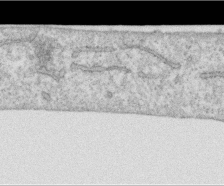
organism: Human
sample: Centriole in RPE cells